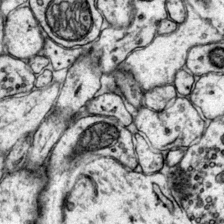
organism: Mouse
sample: Primary visual cortex